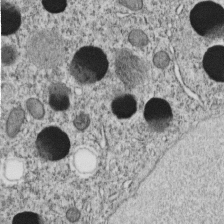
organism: C. elegans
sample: C. elegans embryo early stage